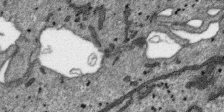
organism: Human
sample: Lung epithelial cells, uninfected (mock) control